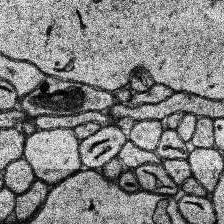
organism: Human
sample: Temporal Lobe